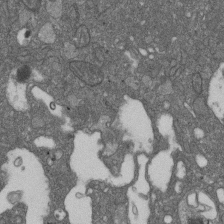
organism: Drosophila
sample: Nephrocyte